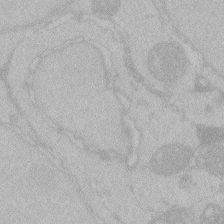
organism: Zebrafish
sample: Macrophage infected with Toxoplasma gondii